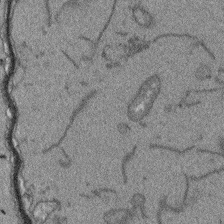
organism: Arabidopsis thaliana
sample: Root tip